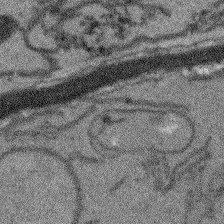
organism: Arabidopsis thaliana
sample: Root tip